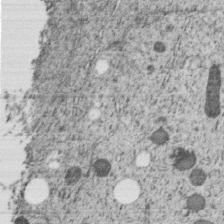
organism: C. elegans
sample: C. elegans embryo early stage